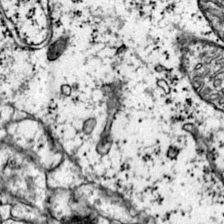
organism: Mouse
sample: Primary visual cortex